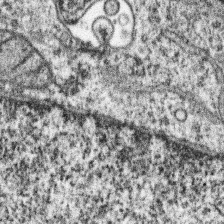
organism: Human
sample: HeLa cells